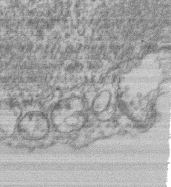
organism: Mouse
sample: T cell stromal cell synapse